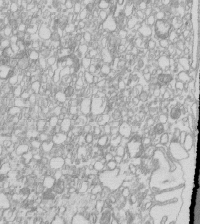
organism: Mouse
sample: Macrophages